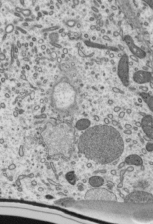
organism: Mouse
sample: Mouse epididymis efferent ductule cilia